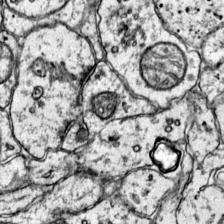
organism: Mouse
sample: Primary visual cortex